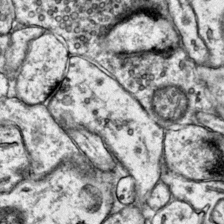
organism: Mouse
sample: Primary visual cortex